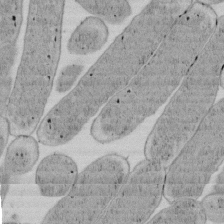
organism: E. coli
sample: Bacterial nucleoid